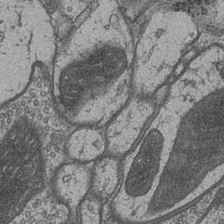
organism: Drosophila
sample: Optic medulla